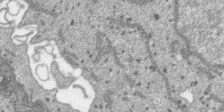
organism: Human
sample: Lung epithelial cells infected with SARS-CoV-2